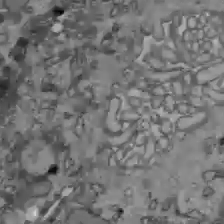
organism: C57BL Mouse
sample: Liver